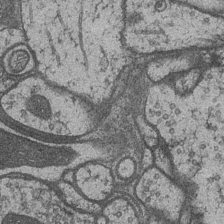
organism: Drosophila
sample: Optic medulla